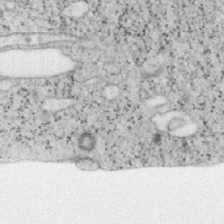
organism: Mouse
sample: OT-I killer T cells with ID8 ovarian cancer cells